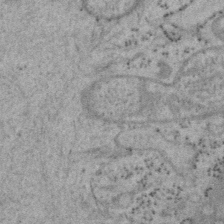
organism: Human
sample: HeLa cells